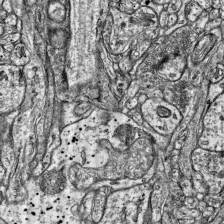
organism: Mouse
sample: Visual Cortex